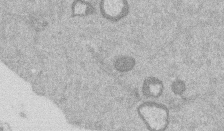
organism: Mouse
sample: Dividing mouse embryo 1 cell stage